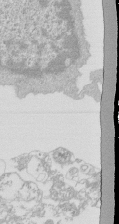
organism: Mouse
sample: Activated Pmel transgenic CD8+ T Cells